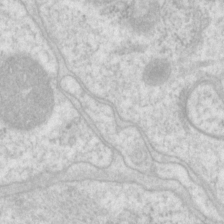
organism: P. pacificus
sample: Pharynx